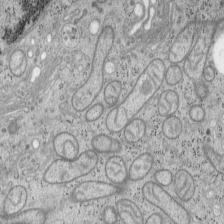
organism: Mouse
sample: OT-I killer T cells with ID8 ovarian cancer cells